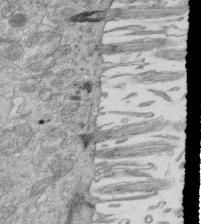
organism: Mouse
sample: Multiciliated cells